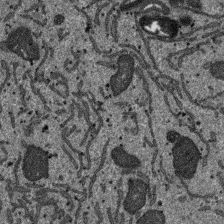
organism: Human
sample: Lung epithelial cells infected with SARS-CoV-2